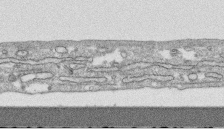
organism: Human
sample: CRL-1474